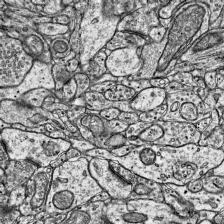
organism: Mouse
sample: Visual Cortex